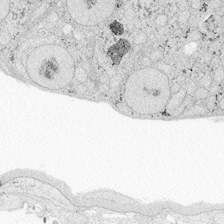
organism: Zebrafish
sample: Whole-Brain